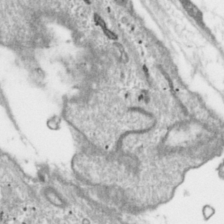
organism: Toxoplasma gondii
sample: Parasites in a vacuole inside a host cell